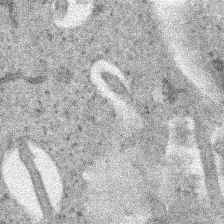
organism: Human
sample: Mitochondria in HCT116 cells